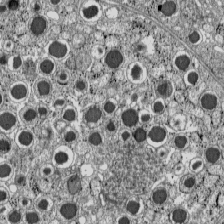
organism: C57BL Mouse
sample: Pancreatic islet